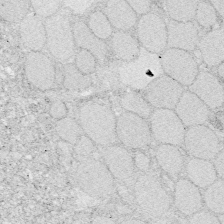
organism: Zebrafish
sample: Whole-Brain